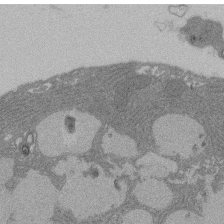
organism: Rat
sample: Salivary granule